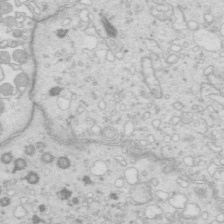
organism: Mouse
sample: Multiciliated cells